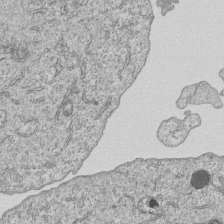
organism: Human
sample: MDA-MB-231 cells